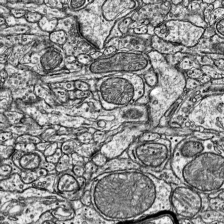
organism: Mouse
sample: Visual Cortex